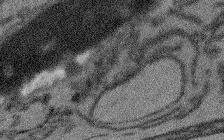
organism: Arabidopsis thaliana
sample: Root tip